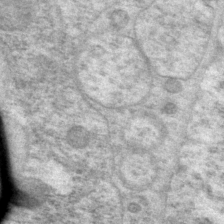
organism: P. pacificus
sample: Pharynx